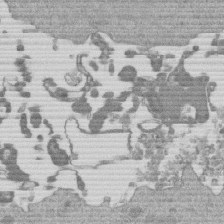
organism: Mouse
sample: Dividing mouse embryo 1 cell stage